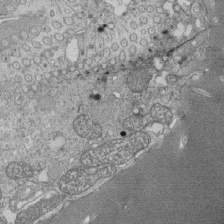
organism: Tetrahymena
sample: Cilia in tetrahymena